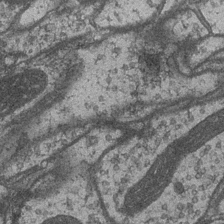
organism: Drosophila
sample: Optic medulla